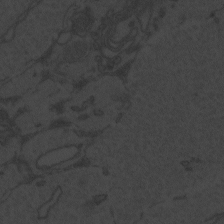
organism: Zebrafish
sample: Macrophage infected with Toxoplasma gondii